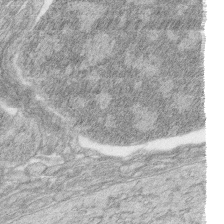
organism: Zebrafish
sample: synaptic ribbons in rod cells and cone cells